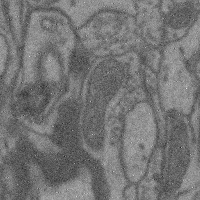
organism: Mouse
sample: Cerebral cortex